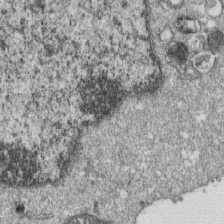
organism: African green monkey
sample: Vero E6 cells infected with SARS-CoV-2